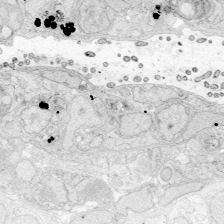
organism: Zebrafish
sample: Whole-Brain